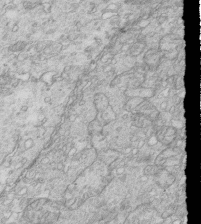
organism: Mouse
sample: Multiciliated cells